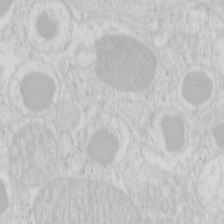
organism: Mouse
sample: Pancreas